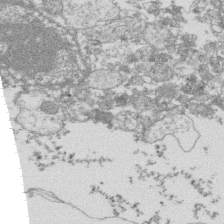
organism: Human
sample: HeLa cell HIV synapse